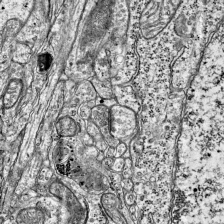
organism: Mouse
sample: Visual Cortex